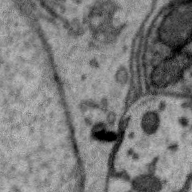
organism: Zebra finch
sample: Brain